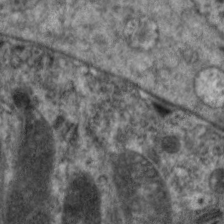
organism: C. elegans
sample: Pharynx